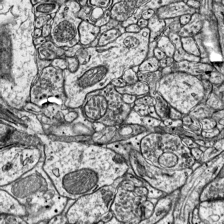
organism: Mouse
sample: Visual Cortex